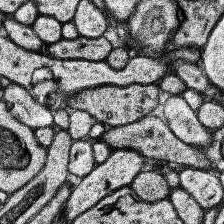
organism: Human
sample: Temporal Lobe